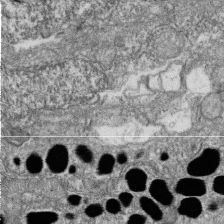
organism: Zebrafish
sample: Cilia; retinal pigment epithelium